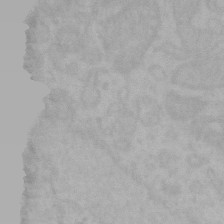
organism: Mouse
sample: Choroid plexus